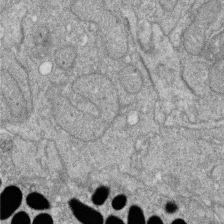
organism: Zebrafish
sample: Cilia; retinal pigment epithelium